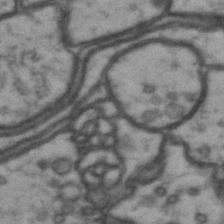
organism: Drosophila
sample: Brain